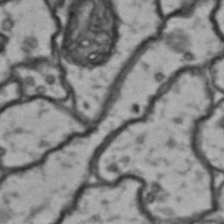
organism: Drosophila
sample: Brain